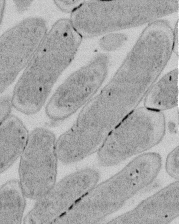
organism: E. coli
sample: Bacterial nucleoid